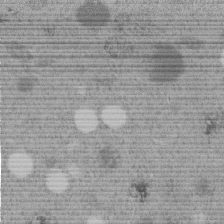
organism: C. elegans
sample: C. elegans embryo early stage